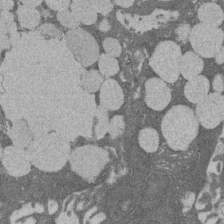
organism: Rat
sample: Salivary granule